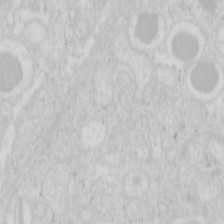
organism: Mouse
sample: Pancreas